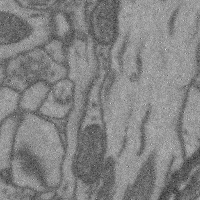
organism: Mouse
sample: Cerebral cortex